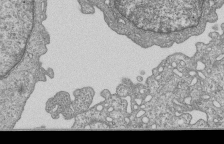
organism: Human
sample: MDA-MB-231 cells